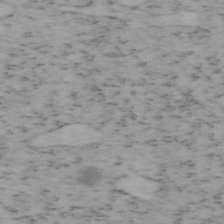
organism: Mouse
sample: OT-I killer T cells with ID8 ovarian cancer cells